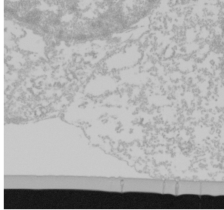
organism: Mouse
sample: Cancer cell death in ED-1 cells